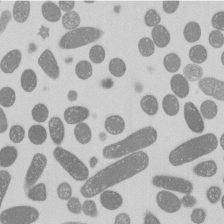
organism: E. coli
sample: Bacterial nucleoid